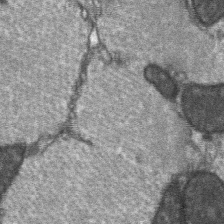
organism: C57BL Mouse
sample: Soleus